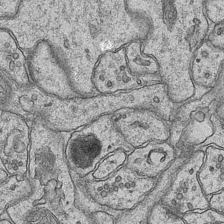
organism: Mouse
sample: CA1 Hippocampus